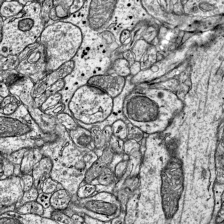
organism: Mouse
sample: Visual Cortex